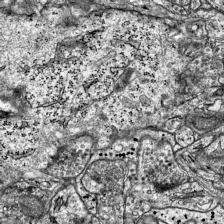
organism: Mouse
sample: Visual Cortex